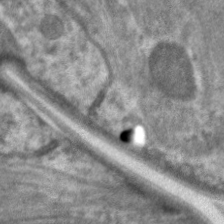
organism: C. elegans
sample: Pharynx